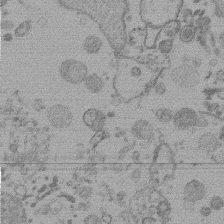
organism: Mouse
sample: Dividing mouse embryo 1 cell stage